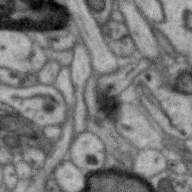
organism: Zebra finch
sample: Brain